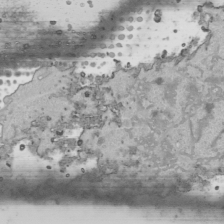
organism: Human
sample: Mitochondria in HCT116 cells